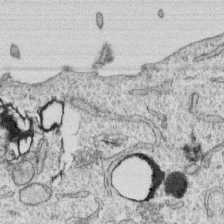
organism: Human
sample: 1205lu cells